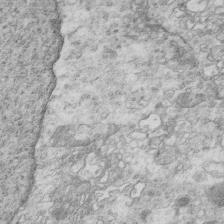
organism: Mouse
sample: Multiciliated cells